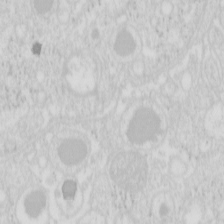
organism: Mouse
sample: Pancreas